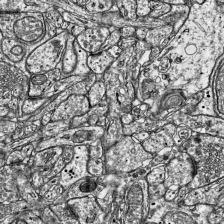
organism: Mouse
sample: Visual Cortex